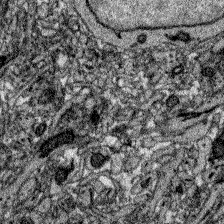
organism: Zebrafish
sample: Larval olfactory bulb